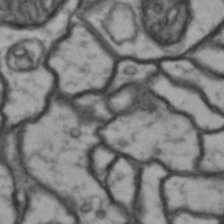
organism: Drosophila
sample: Brain